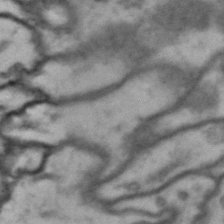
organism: Drosophila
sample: Brain